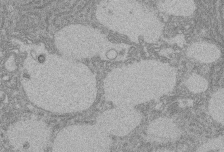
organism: Rat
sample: Salivary granule